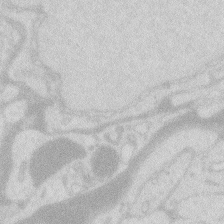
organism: Zebrafish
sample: Macrophage